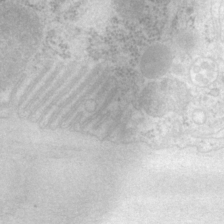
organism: P. pacificus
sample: Pharynx